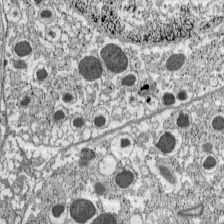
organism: C57BL Mouse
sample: Pancreatic islet